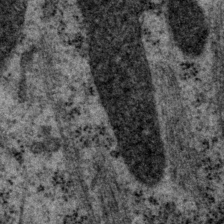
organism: P. pacificus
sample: Pharynx